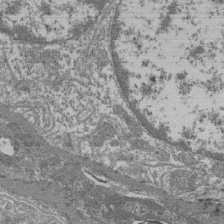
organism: Mouse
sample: Glomerulus